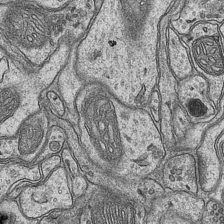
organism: Mouse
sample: CA1 Hippocampus